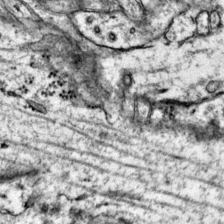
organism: Mouse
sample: Primary visual cortex